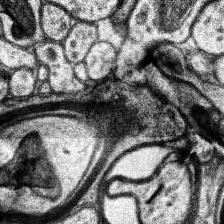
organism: Human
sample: Temporal Lobe